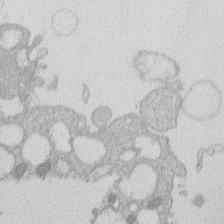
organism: Human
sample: Macrophage cells